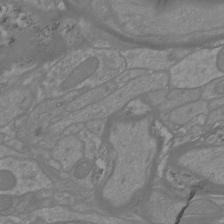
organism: Mouse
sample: Cortical neurons